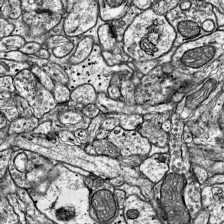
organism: Mouse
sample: Visual Cortex